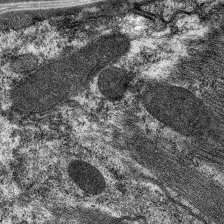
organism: C. elegans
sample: Pharynx